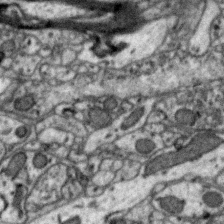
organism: Zebra finch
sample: Brain